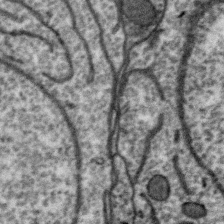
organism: Zebra finch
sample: Brain